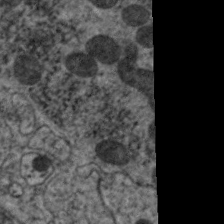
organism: C. elegans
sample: Pharynx